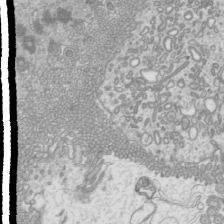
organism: Mouse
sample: Cilia; mouse epididymis